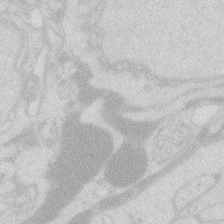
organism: Zebrafish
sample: Macrophage